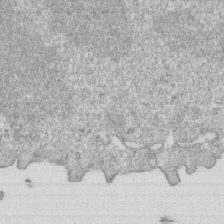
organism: Mouse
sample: Activated OT-1 CD8+ T cells